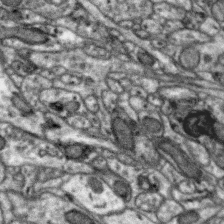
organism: Zebra finch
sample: Brain